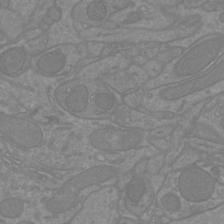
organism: Mouse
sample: Cortical neurons